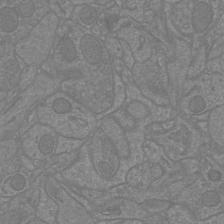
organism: Mouse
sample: Cortical neurons